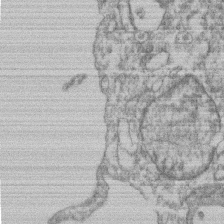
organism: Mouse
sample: T cell stromal cell synapse